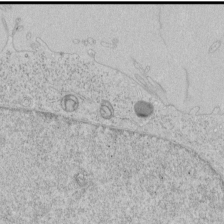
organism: Human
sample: Mitochondria in HCT116 cells